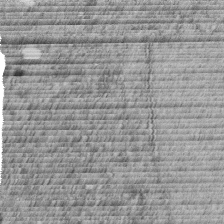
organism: C. elegans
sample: C. elegans embryo early stage